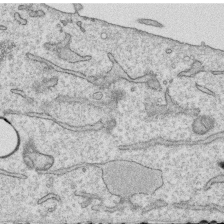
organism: Human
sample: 1205lu cells